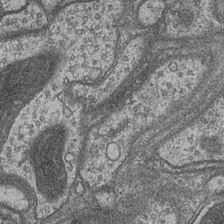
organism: Drosophila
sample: Optic medulla